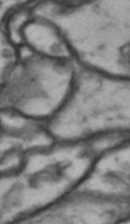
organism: Drosophila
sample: Brain